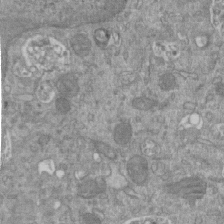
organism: Mouse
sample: ED-1 cell nuclei; centrioles